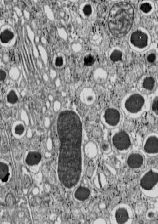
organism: C57BL Mouse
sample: Pancreatic islet